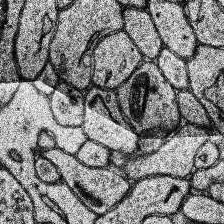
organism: Human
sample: Temporal Lobe